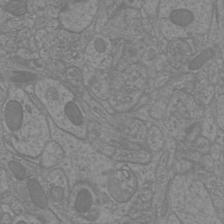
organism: Mouse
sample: Cortical neurons